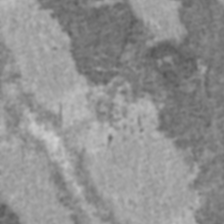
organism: C57BL Mouse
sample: Heart